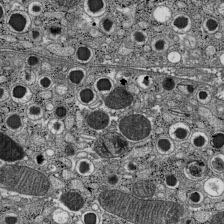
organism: C57BL Mouse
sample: Pancreatic islet